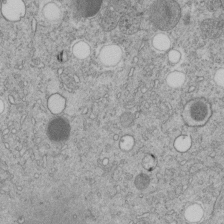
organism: C. elegans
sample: C. elegans embryo early stage